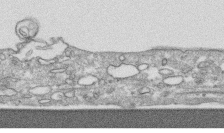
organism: Human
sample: CRL-1474